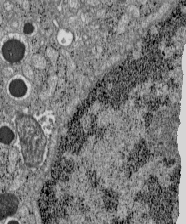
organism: C57BL Mouse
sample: Pancreatic islet